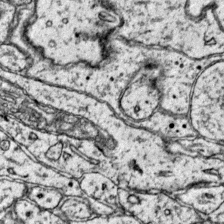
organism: Mouse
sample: Primary visual cortex